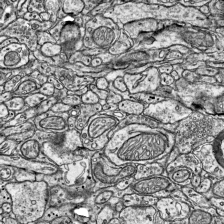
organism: Mouse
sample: Visual Cortex